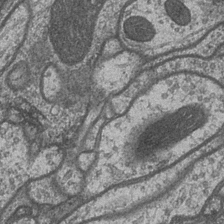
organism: Drosophila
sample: Optic medulla